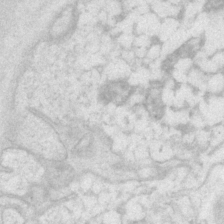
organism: P. pacificus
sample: Pharynx